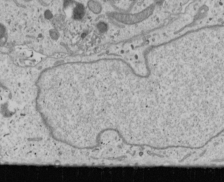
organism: Human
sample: Mitochondria in U2OS cells